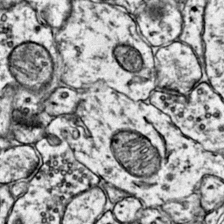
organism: Mouse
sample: Primary visual cortex